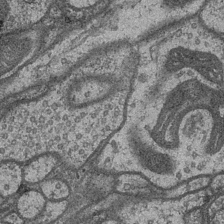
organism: Drosophila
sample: Optic medulla